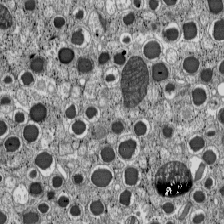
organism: C57BL Mouse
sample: Pancreatic islet